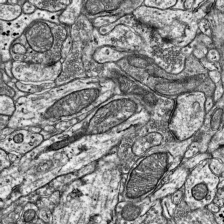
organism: Mouse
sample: Visual Cortex